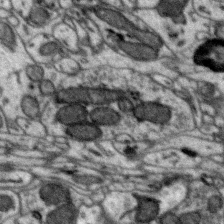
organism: Zebra finch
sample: Brain